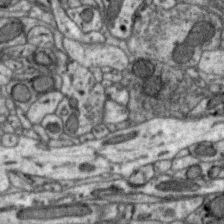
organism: Zebra finch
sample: Brain